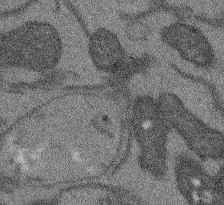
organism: Arabidopsis thaliana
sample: Root tip